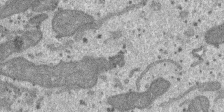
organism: Human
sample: Lung epithelial cells infected with SARS-CoV-2